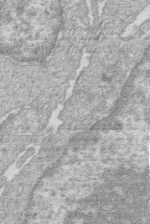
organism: Human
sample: Macrophage cells